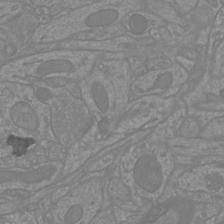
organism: Mouse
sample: Cortical neurons